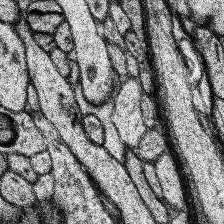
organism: Human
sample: Temporal Lobe